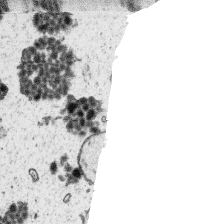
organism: Platynereis dumerilii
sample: Parapodia